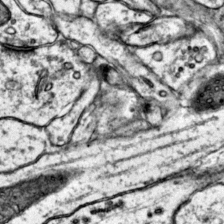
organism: Mouse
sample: Primary visual cortex